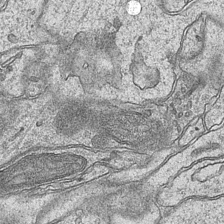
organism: Mouse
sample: CA1 Hippocampus